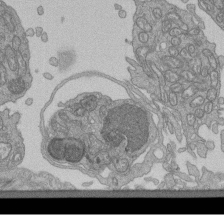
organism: Human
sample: Retinal organoid Rod and Cone cells